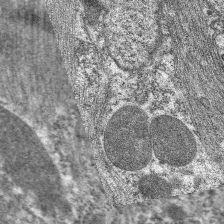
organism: C. elegans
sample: Pharynx